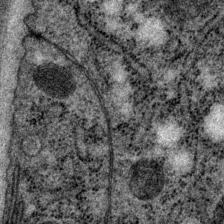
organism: P. pacificus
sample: Pharynx